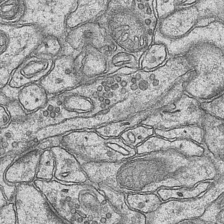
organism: Mouse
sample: CA1 Hippocampus